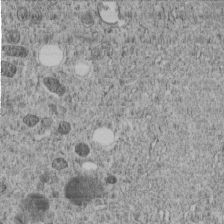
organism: C. elegans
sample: C. elegans embryo early stage